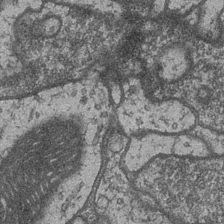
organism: Drosophila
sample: Optic medulla